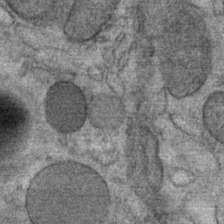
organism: Mouse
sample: Mouse Salivary gland